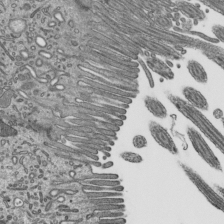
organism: Mouse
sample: Mouse epididymis efferent ductule cilia